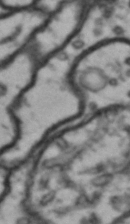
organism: Drosophila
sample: Brain